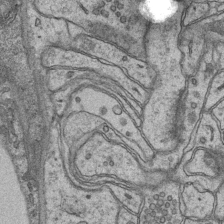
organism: Mouse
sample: CA1 Hippocampus